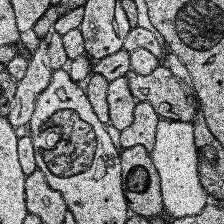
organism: Human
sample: Temporal Lobe